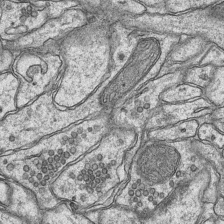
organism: Mouse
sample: CA1 Hippocampus